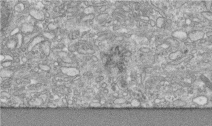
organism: Human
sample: Centriole in RPE cells